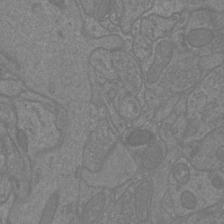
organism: Mouse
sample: Cortical neurons